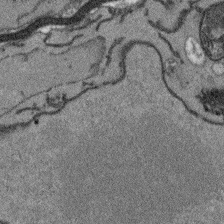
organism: Arabidopsis thaliana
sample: Root tip